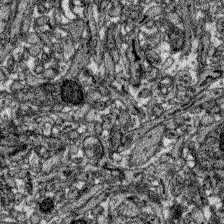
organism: Zebrafish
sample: Larval olfactory bulb